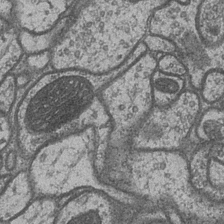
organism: Drosophila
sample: Optic medulla